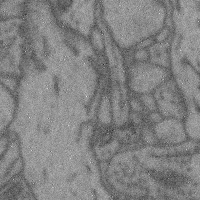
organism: Mouse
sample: Cerebral cortex